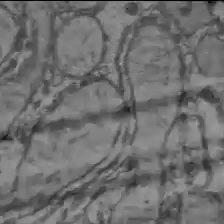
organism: C57BL Mouse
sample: Liver